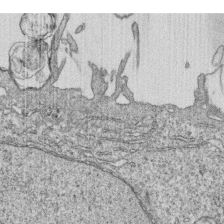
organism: Human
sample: HeLa cell HIV synapse